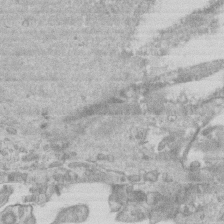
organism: Mouse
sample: Centriole in ependymal cells